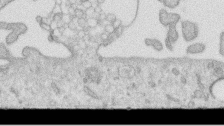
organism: Human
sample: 1205lu cells